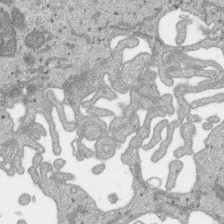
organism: Human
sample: Lung epithelial cells infected with SARS-CoV-2